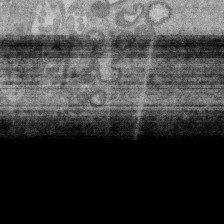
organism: Mouse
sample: Dividing mouse embryo 1 cell stage